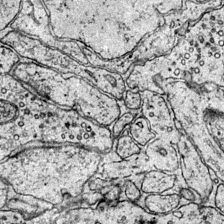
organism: Mouse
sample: Primary visual cortex